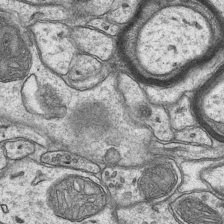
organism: Mouse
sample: CA1 Hippocampus